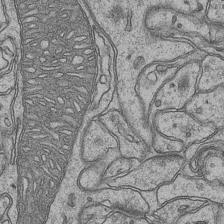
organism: Mouse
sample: CA1 Hippocampus